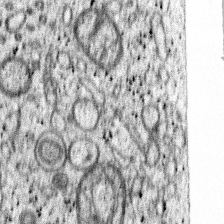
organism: Human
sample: HeLa cells